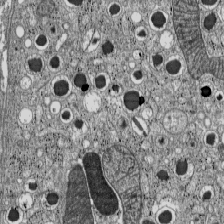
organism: C57BL Mouse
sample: Pancreatic islet